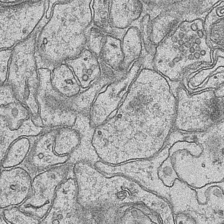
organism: Mouse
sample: CA1 Hippocampus